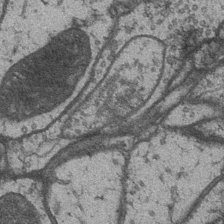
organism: Drosophila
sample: Optic medulla